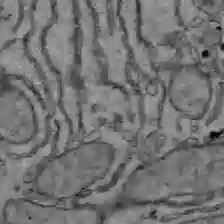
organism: C57BL Mouse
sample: Liver